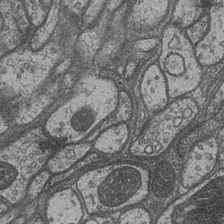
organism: Drosophila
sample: Optic medulla